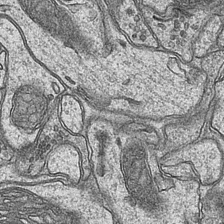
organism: Mouse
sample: CA1 Hippocampus